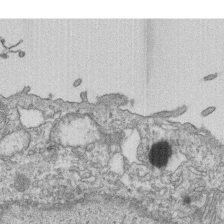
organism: Human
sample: HeLa cell HIV synapse